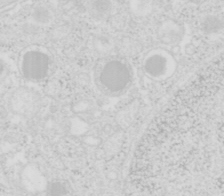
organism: Mouse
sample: Pancreas